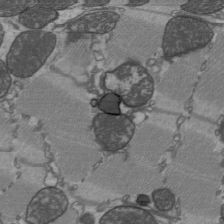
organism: C57BL Mouse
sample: Heart